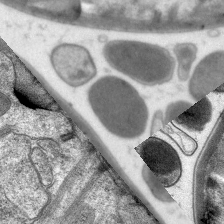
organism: C. elegans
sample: Pharynx